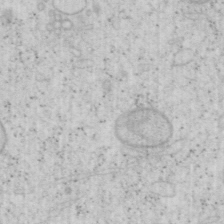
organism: Human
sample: HeLa cells